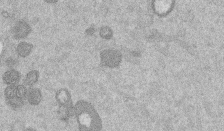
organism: Mouse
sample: Dividing mouse embryo 1 cell stage